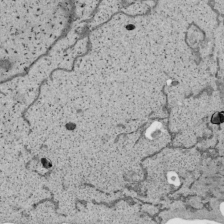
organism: Human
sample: Mitochondria in HCT116 cells